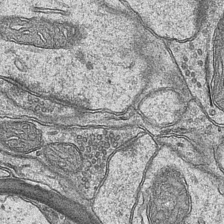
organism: Mouse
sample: CA1 Hippocampus